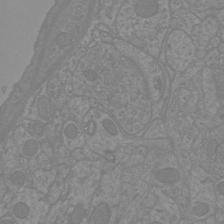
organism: Mouse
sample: Cortical neurons